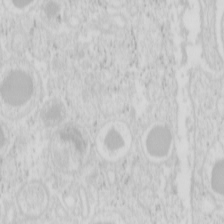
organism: Mouse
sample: Pancreas